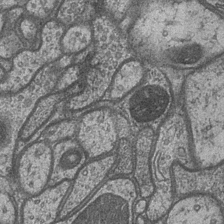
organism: Drosophila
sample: Optic medulla